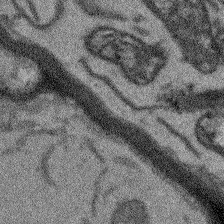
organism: Arabidopsis thaliana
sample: Root tip